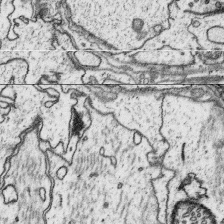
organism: Platynereis dumerilii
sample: Parapodia